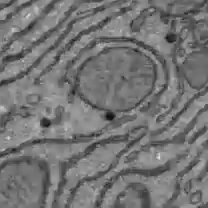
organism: C57BL Mouse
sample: Liver